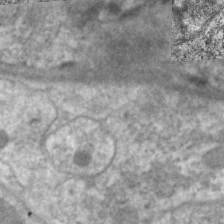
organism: C. elegans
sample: Pharynx